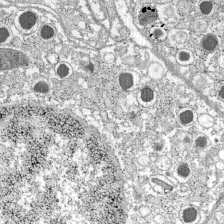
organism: C57BL Mouse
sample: Pancreatic islet